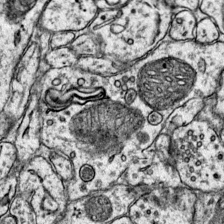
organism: Mouse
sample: Primary visual cortex